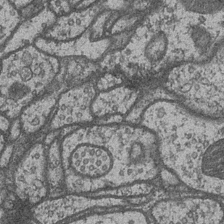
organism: Drosophila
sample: Optic medulla